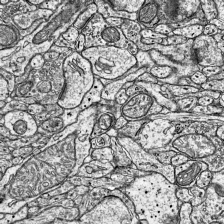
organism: Mouse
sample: Visual Cortex